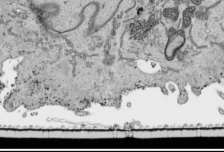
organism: Human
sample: Mitochondria in HCT116 cells